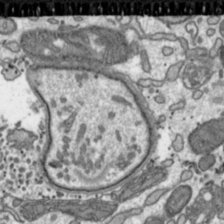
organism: Toxoplasma gondii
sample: Parasites in a vacuole inside a host cell